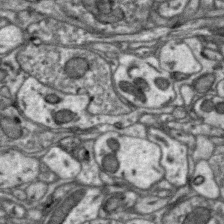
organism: Zebra finch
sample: Brain